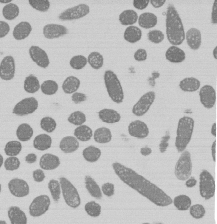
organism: E. coli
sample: Bacterial nucleoid